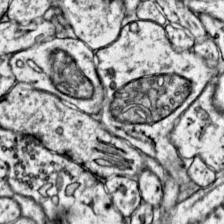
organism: Mouse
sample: Primary visual cortex